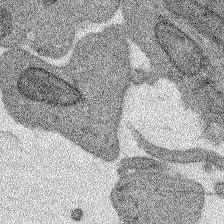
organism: Human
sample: HeLa cells